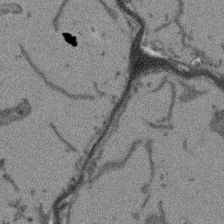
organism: Arabidopsis thaliana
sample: Root tip